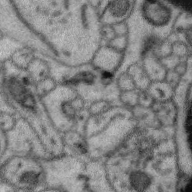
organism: Zebra finch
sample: Brain